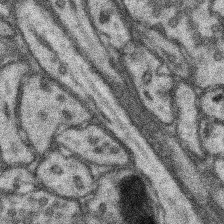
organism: Mouse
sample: Somatosensory cortex neuropil